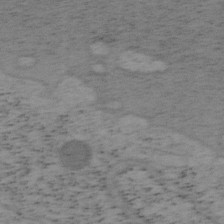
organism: Mouse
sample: OT-I killer T cells with ID8 ovarian cancer cells